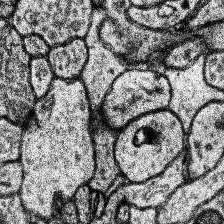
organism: Human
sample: Temporal Lobe